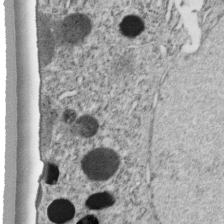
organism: C. elegans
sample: C. elegans embryo early stage